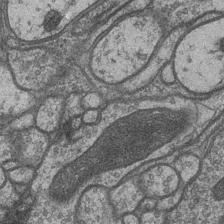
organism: Drosophila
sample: Optic medulla